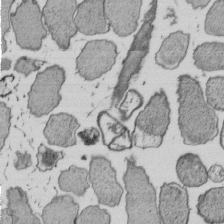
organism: E. coli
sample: Bacterial nucleoid